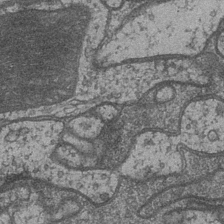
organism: Drosophila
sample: Optic medulla